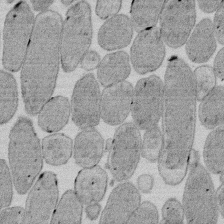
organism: E. coli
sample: Bacterial nucleoid